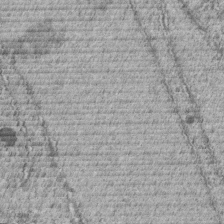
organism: C. elegans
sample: C. elegans embryo early stage